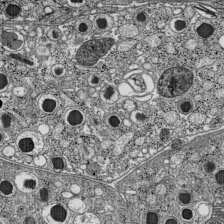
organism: C57BL Mouse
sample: Pancreatic islet